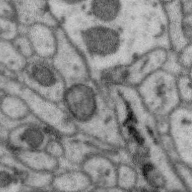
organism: Zebra finch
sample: Brain